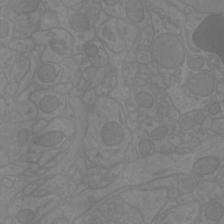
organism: Mouse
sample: Cortical neurons